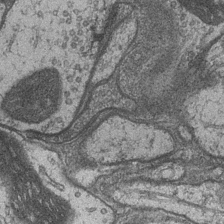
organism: Drosophila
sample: Optic medulla